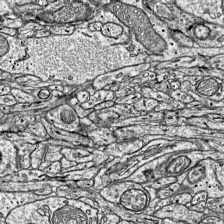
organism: Mouse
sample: Visual Cortex